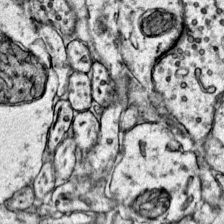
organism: Mouse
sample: Primary visual cortex